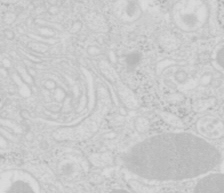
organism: Mouse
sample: Pancreas